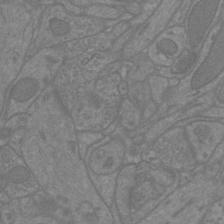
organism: Mouse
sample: Cortical neurons